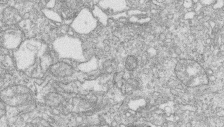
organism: Human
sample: HeLa cell HIV synapse